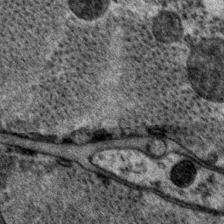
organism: P. pacificus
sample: Pharynx